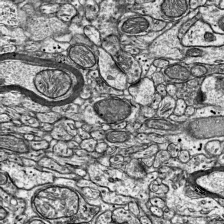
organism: Mouse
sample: Visual Cortex